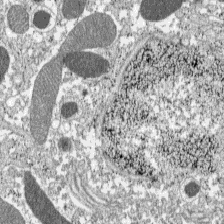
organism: C57BL Mouse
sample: Pancreatic islet